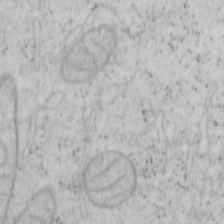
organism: Human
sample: HeLa cells